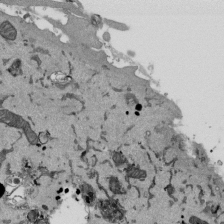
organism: Mouse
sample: ED-1 cell nuclei; centrioles